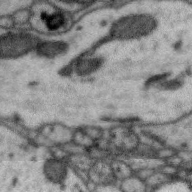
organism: Zebra finch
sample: Brain